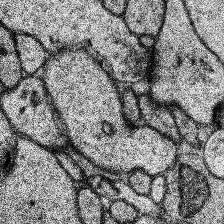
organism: Human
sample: Temporal Lobe